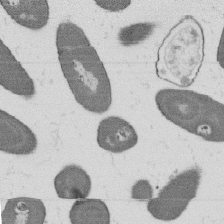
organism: B. subtilis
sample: Bacterial spore